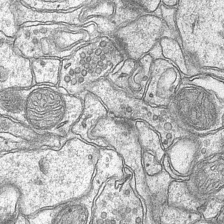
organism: Mouse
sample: CA1 Hippocampus